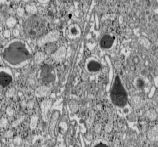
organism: C57BL Mouse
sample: Pancreatic islet